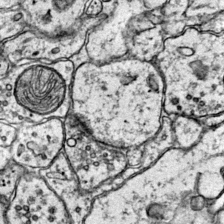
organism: Mouse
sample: Primary visual cortex